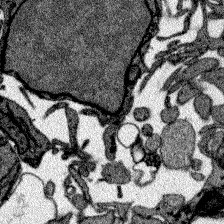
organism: Zebrafish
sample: Larval olfactory bulb